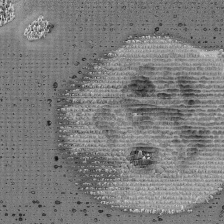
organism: Mouse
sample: Activated Pmel transgenic CD8+ T Cells